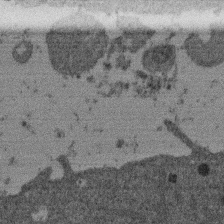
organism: Mouse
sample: Dividing mouse embryo 1 cell stage